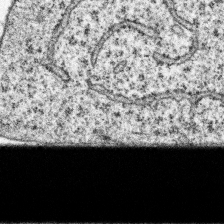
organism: Human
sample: HeLa cells